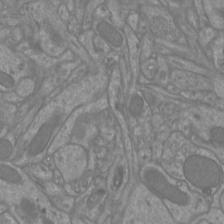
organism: Mouse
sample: Cortical neurons